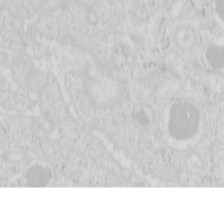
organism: Mouse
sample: Pancreas